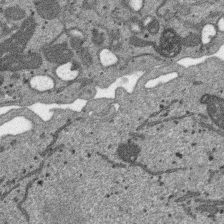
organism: Human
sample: Lung epithelial cells infected with SARS-CoV-2